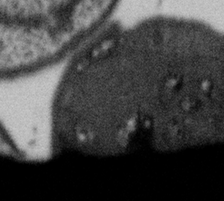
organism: Gemmata obscuriglobus